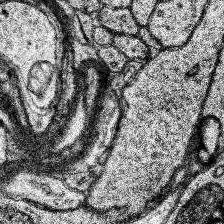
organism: Human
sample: Temporal Lobe